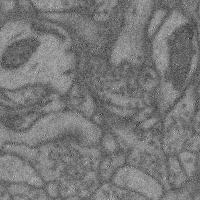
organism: Mouse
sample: Cerebral cortex